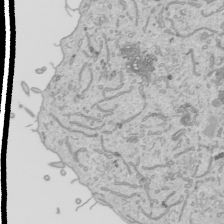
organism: Human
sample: Mitochondria in HCT116 cells